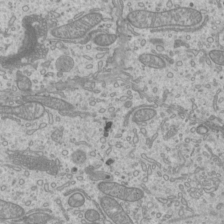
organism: Mouse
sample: Cilia; mouse epididymis